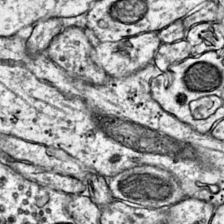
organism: Mouse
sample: Primary visual cortex